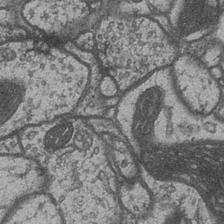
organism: Drosophila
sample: Optic medulla